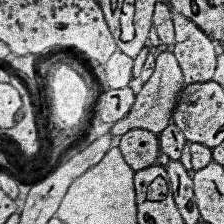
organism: Human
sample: Temporal Lobe